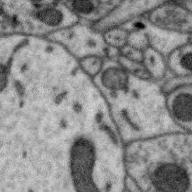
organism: Zebra finch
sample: Brain